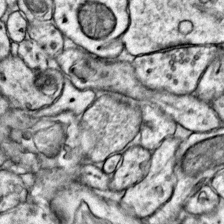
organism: Mouse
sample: Primary visual cortex